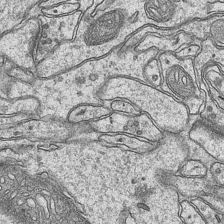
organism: Mouse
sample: CA1 Hippocampus